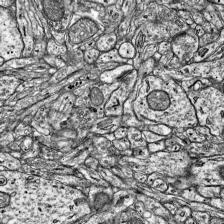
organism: Mouse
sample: Visual Cortex